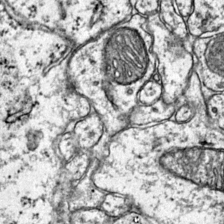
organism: Mouse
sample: Primary visual cortex